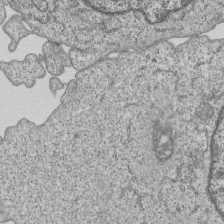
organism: Human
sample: MDA-MB-231 cells